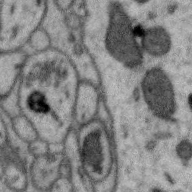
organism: Zebra finch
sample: Brain